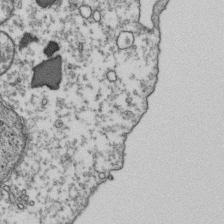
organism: Human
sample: Activated Jurkat CD4+ T cells